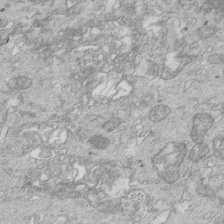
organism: Mouse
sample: Multiciliated cells